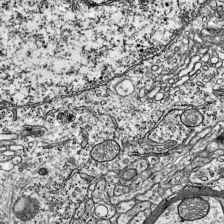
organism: Mouse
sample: Visual Cortex